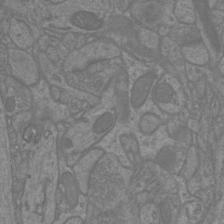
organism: Mouse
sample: Cortical neurons